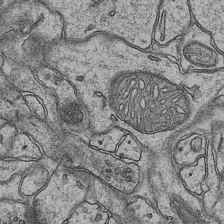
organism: Mouse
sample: CA1 Hippocampus